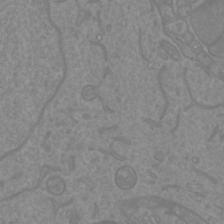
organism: Mouse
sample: Cortical neurons